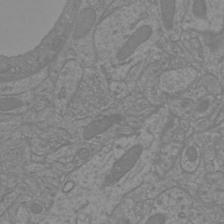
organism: Mouse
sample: Cortical neurons